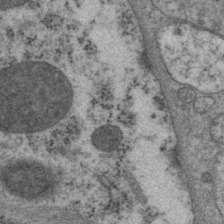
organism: P. pacificus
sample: Pharynx